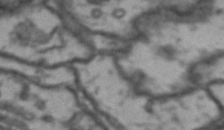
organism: Drosophila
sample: Brain